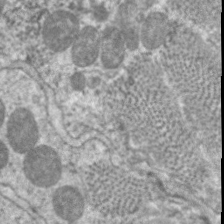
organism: C. elegans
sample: Pharynx